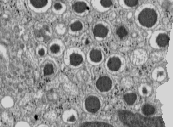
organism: C57BL Mouse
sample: Pancreatic islet